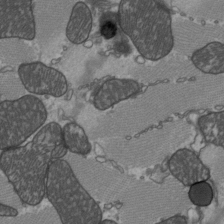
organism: C57BL Mouse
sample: Heart